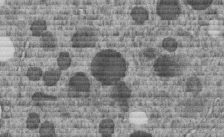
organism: C. elegans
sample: C. elegans embryo early stage